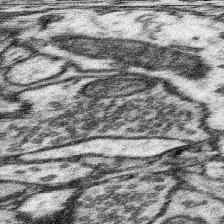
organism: Mouse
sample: Somatosensory cortex neuropil